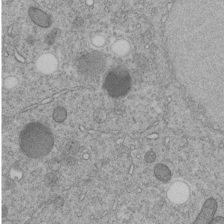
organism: C. elegans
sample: C. elegans embryo early stage